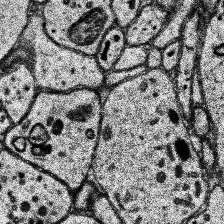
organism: Human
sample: Temporal Lobe